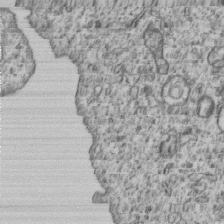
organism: Human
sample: MDA-MB-231 cells